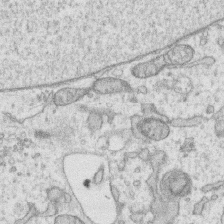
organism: Human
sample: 1205lu cells